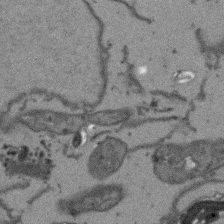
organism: Arabidopsis thaliana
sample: Root tip